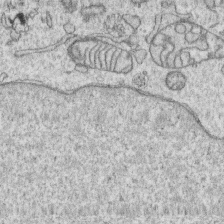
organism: Human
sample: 1205lu cells